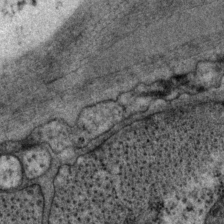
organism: P. pacificus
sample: Pharynx